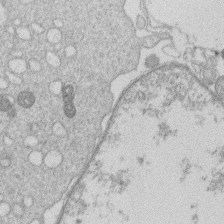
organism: Human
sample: Macrophage cells